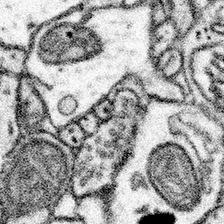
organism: Mouse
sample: Somatosensory cortex neuropil